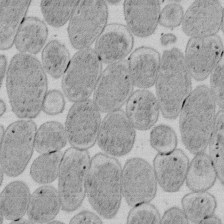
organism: E. coli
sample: Bacterial nucleoid